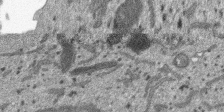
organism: Human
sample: Lung epithelial cells infected with SARS-CoV-2